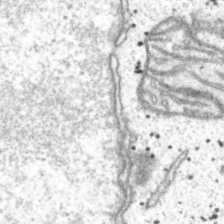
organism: Human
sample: HeLa cells